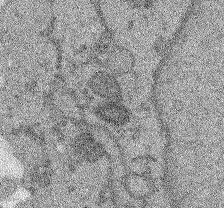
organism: Human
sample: HeLa cells